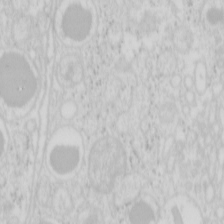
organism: Mouse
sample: Pancreas